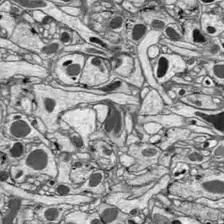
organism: Drosophila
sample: Optic lobe